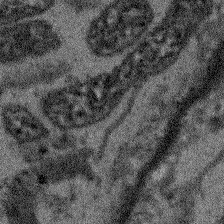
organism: Arabidopsis thaliana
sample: Root tip